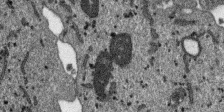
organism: Human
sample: Lung epithelial cells infected with SARS-CoV-2